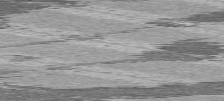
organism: C57BL Mouse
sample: Heart